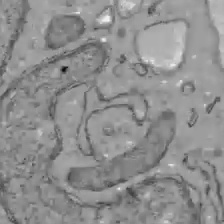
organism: C57BL Mouse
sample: Liver